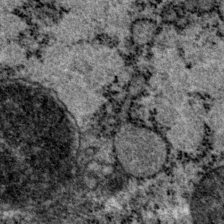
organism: P. pacificus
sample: Pharynx